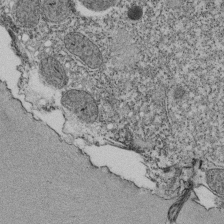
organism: Tetrahymena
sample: Cilia in tetrahymena